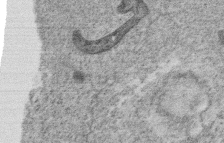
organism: C. elegans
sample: C. elegans oocyte; sperm cells